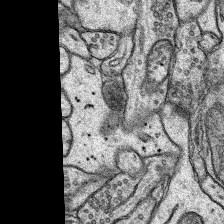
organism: Rat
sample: Hippocampus